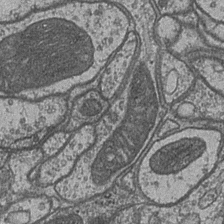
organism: Drosophila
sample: Optic medulla